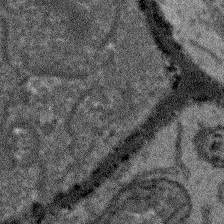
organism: Arabidopsis thaliana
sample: Root tip